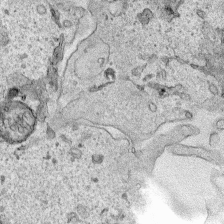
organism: Human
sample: Mitochondria in HCT116 cells